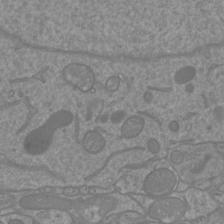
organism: Mouse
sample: Cortical neurons